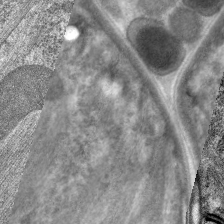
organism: C. elegans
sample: Pharynx